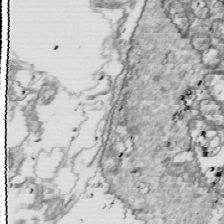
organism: Drosophila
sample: Cell division; meiosis; drosophila spermatocytes